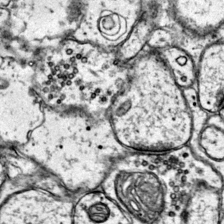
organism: Mouse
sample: Primary visual cortex